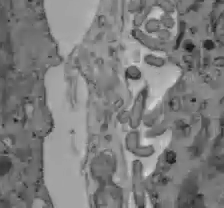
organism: C57BL Mouse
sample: Liver